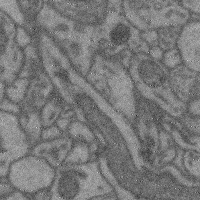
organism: Mouse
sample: Cerebral cortex